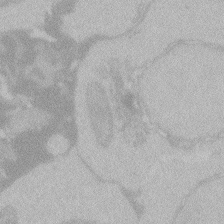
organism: Zebrafish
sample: Macrophage infected with Toxoplasma gondii